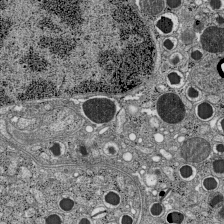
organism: C57BL Mouse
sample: Pancreatic islet